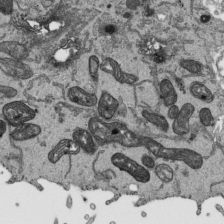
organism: Human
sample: Mitochondria in HCT116 cells